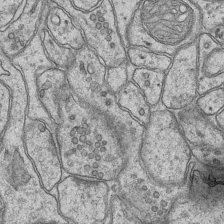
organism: Mouse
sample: CA1 Hippocampus